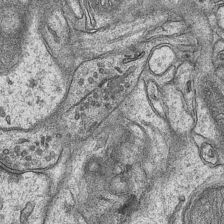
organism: Mouse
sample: CA1 Hippocampus